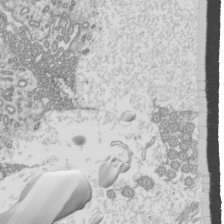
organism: Mouse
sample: Cilia; mouse epididymis